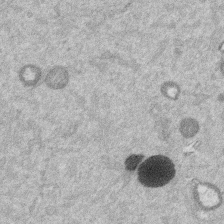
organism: Mouse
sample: Dividing mouse embryo 1 cell stage